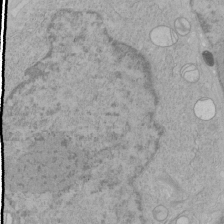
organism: Human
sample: Mitochondria in HCT116 cells